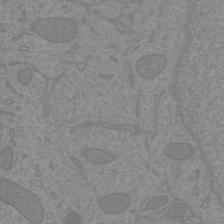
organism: Mouse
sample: Cortical neurons